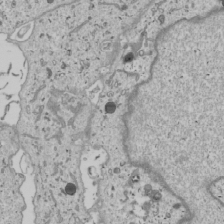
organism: Human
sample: Mitochondria in U2OS cells